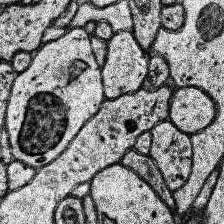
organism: Human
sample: Temporal Lobe